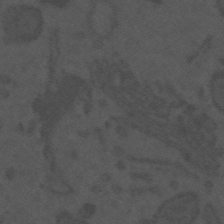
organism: Mouse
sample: Suprachiasmatic nucleus